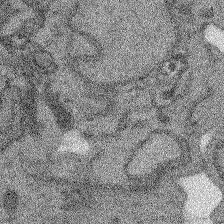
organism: Human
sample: HeLa cells